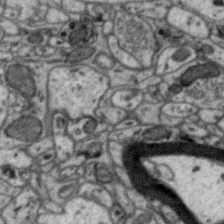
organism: Zebra finch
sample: Brain